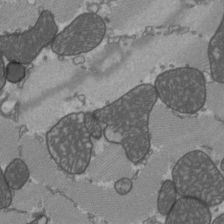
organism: C57BL Mouse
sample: Heart